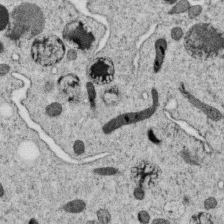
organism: C. elegans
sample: C. elegans oocyte; sperm cells